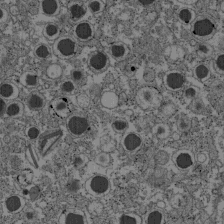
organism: C57BL Mouse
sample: Pancreatic islet